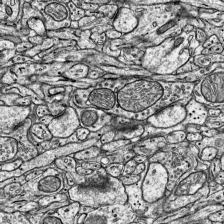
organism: Mouse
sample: Visual Cortex